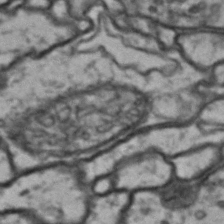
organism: Drosophila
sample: Brain